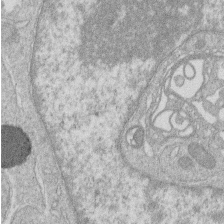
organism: Human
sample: Macrophage cells